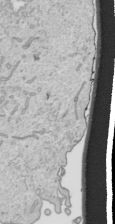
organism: Human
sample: Mitochondria in HCT116 cells